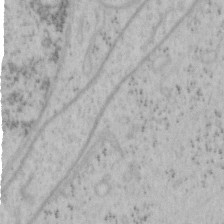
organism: Human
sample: HeLa cells